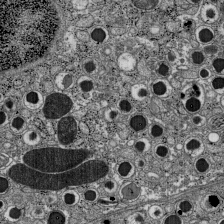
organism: C57BL Mouse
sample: Pancreatic islet